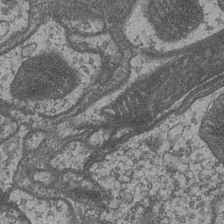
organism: Drosophila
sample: Optic medulla